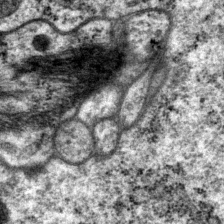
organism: P. pacificus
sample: Pharynx